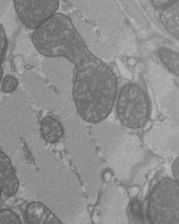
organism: C57BL Mouse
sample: Heart